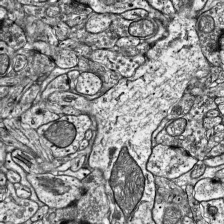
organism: Mouse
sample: Visual Cortex